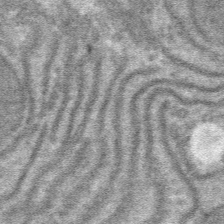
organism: Mouse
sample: Mouse hepatocytes